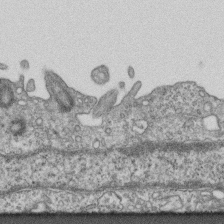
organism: Mouse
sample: Centriole in ependymal cells